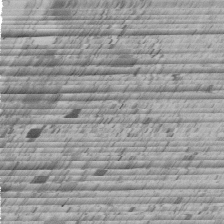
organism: C. elegans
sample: C. elegans embryo early stage